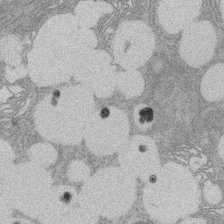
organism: Rat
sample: Salivary granule